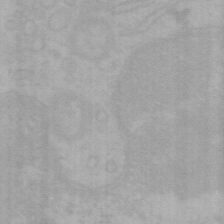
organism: Mouse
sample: Choroid plexus